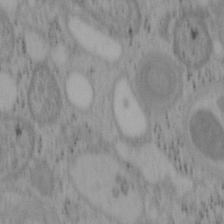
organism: Mouse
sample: OT-I killer T cells with ID8 ovarian cancer cells